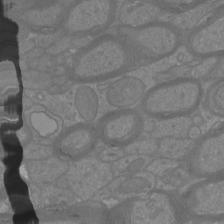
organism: Mouse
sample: Cortical neurons